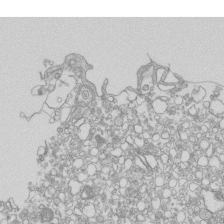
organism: Mouse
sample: Macrophages